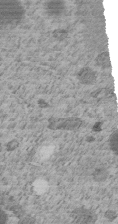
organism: C. elegans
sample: C. elegans embryo early stage